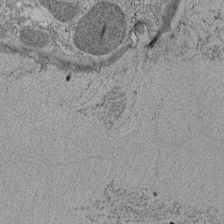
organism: Tetrahymena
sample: Cilia in tetrahymena